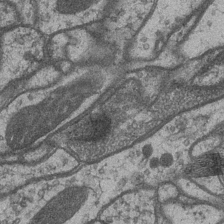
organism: Drosophila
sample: Optic medulla